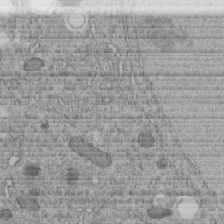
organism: C. elegans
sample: C. elegans embryo early stage